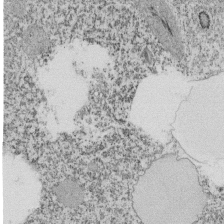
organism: Tetrahymena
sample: Cilia in tetrahymena